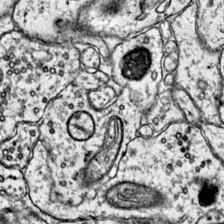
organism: Mouse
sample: Primary visual cortex